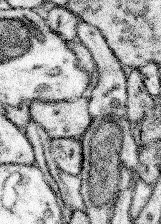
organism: Mouse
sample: Somatosensory cortex neuropil